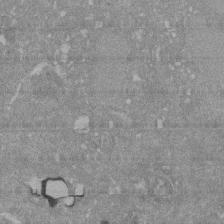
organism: Mouse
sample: ED-1 cell nuclei; centrioles